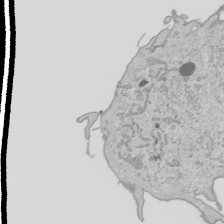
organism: Human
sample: Mitochondria in HCT116 cells